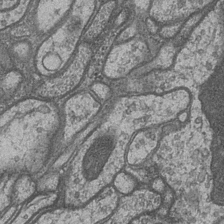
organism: Drosophila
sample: Optic medulla